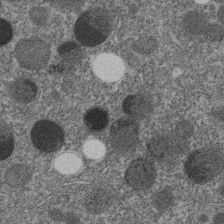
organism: C. elegans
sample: C. elegans embryo early stage